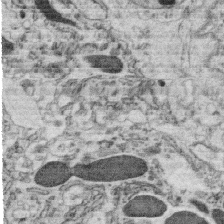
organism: C. elegans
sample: C. elegans oocyte; sperm cells